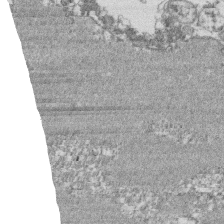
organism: Human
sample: HeLa cell HIV synapse